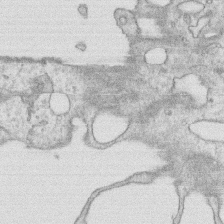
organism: Human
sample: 1205lu cells